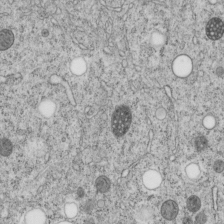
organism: C. elegans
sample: C. elegans embryo early stage